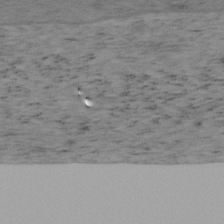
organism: Mouse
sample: OT-I killer T cells with ID8 ovarian cancer cells